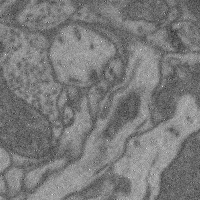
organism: Mouse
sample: Cerebral cortex